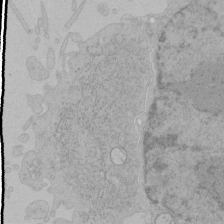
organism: Human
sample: Mitochondria in HCT116 cells